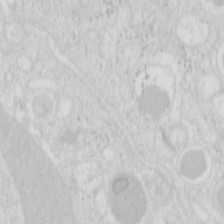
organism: Mouse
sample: Pancreas